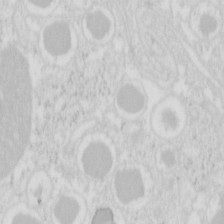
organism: Mouse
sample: Pancreas